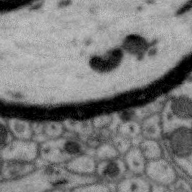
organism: Zebra finch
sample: Brain